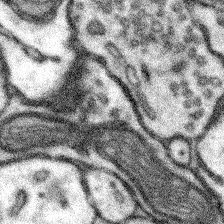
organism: Mouse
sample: Somatosensory cortex neuropil